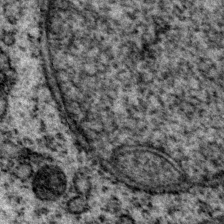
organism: P. pacificus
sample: Pharynx